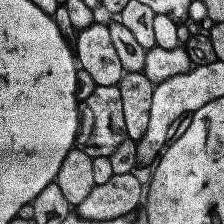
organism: Human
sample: Temporal Lobe